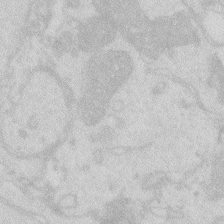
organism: Zebrafish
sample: Macrophage